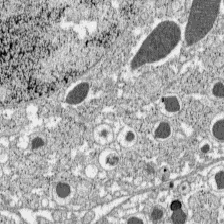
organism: C57BL Mouse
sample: Pancreatic islet